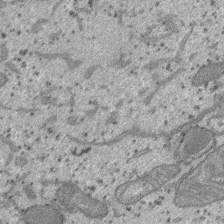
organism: Human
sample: Lung epithelial cells infected with SARS-CoV-2